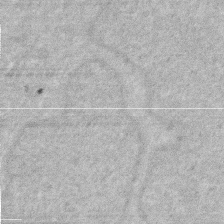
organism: Human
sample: HIV infected U937 cells